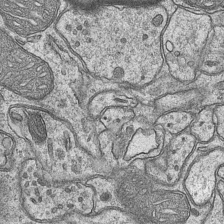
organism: Mouse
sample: CA1 Hippocampus